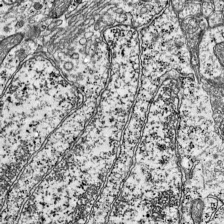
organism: Mouse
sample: Visual Cortex